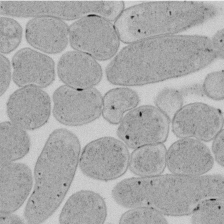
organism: E. coli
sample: Bacterial nucleoid